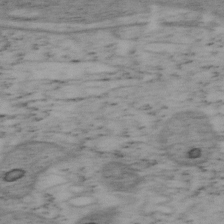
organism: Mouse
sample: OT-I killer T cells with ID8 ovarian cancer cells